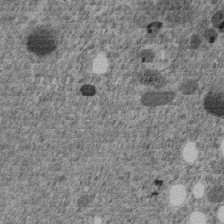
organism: C. elegans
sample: C. elegans embryo early stage